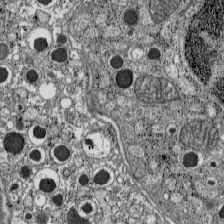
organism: C57BL Mouse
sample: Pancreatic islet